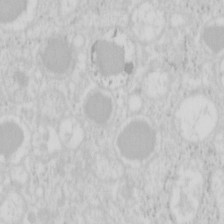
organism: Mouse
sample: Pancreas